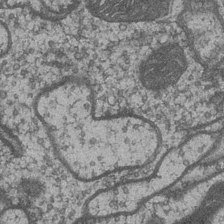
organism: Drosophila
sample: Optic medulla